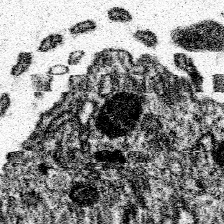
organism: Spongilla lacustris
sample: Neuroid cell